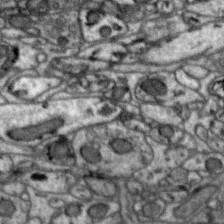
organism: Zebra finch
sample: Brain